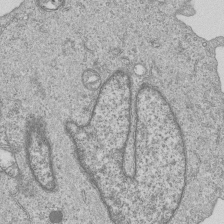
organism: Human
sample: MDA-MB-231 cells